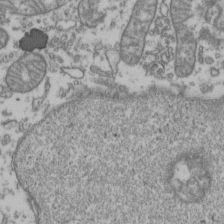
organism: Human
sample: Activated Jurkat CD4+ T cells